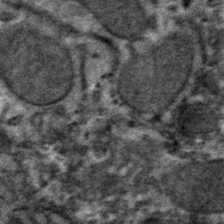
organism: Mouse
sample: Mouse hepatocytes